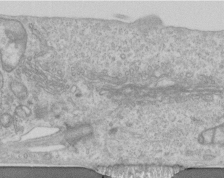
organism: Human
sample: Centriole in RPE cells